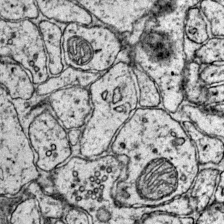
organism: Mouse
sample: Primary visual cortex